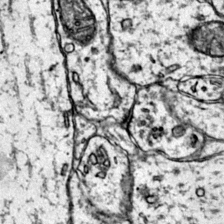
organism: Mouse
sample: Primary visual cortex